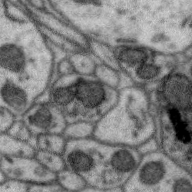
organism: Zebra finch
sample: Brain